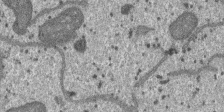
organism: Human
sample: Lung epithelial cells infected with SARS-CoV-2